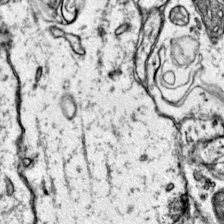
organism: Mouse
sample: Primary visual cortex